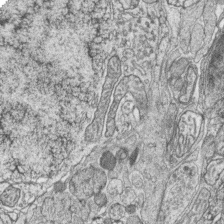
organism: Zebrafish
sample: synaptic ribbons in rod cells and cone cells